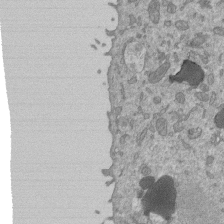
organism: Mouse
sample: ED-1 cell nuclei; centrioles